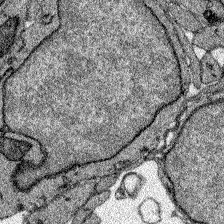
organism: Zebrafish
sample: Larval olfactory bulb